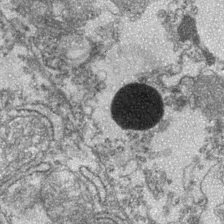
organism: Zebrafish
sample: Zebrafish embryo